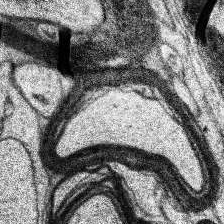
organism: Human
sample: Temporal Lobe